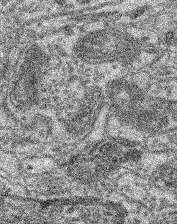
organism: Mouse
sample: Retina